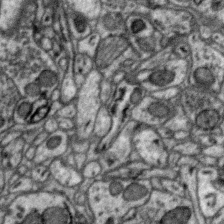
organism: Zebra finch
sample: Brain